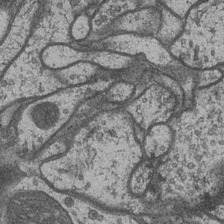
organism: Drosophila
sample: Optic medulla